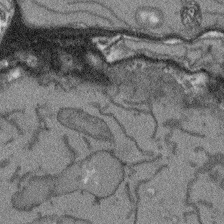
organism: Arabidopsis thaliana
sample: Root tip